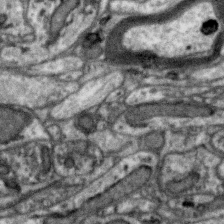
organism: Zebra finch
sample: Brain